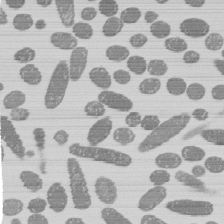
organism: E. coli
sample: Bacterial nucleoid